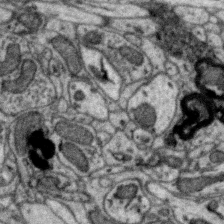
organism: Zebra finch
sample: Brain